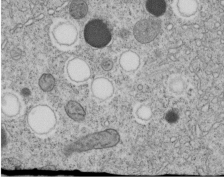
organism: C. elegans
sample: C. elegans embryo early stage